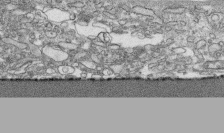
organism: Human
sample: CRL-1474